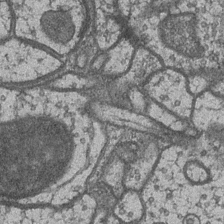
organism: Drosophila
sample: Optic medulla